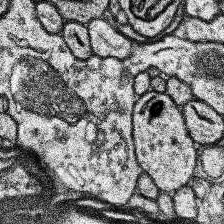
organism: Human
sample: Temporal Lobe